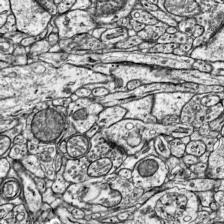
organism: Mouse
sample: Visual Cortex